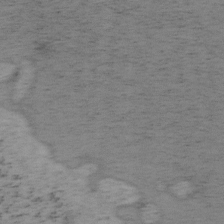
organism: Mouse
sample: OT-I killer T cells with ID8 ovarian cancer cells